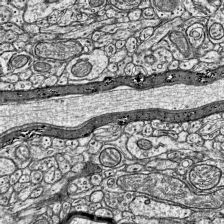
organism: Mouse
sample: Visual Cortex